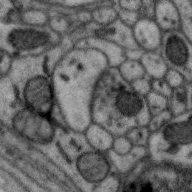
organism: Zebra finch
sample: Brain